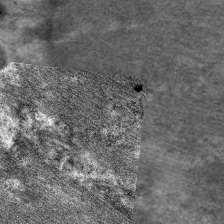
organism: C. elegans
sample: Pharynx